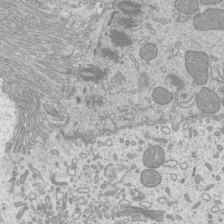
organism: Mouse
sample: Cilia; mouse epididymis